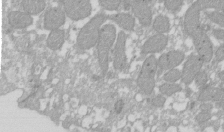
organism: Xenopus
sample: Cilia; centrioles in frog embryo cells